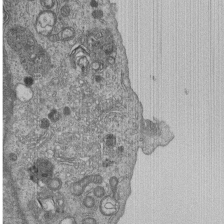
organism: Human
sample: MDA-MB-231 cells